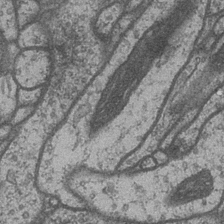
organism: Drosophila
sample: Optic medulla